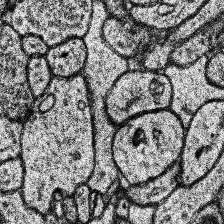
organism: Human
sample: Temporal Lobe